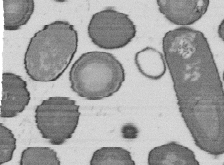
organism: B. subtilis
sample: Bacterial spore